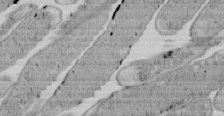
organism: E. coli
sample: Bacterial nucleoid